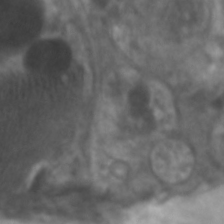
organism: C. elegans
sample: Pharynx